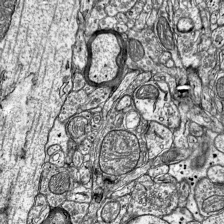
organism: Mouse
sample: Visual Cortex